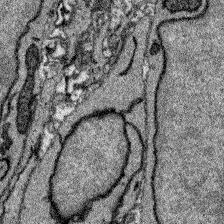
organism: Zebrafish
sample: Larval olfactory bulb